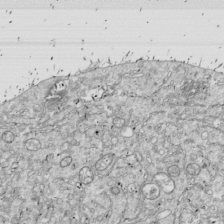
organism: Drosophila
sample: Cell division; meiosis; drosophila spermatocytes